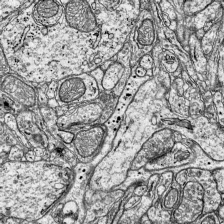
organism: Mouse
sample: Visual Cortex